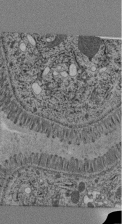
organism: C. elegans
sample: C. elegans pharynx